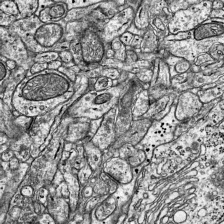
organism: Mouse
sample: Visual Cortex